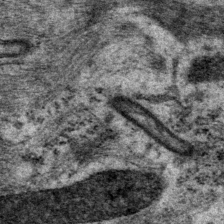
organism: P. pacificus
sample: Pharynx